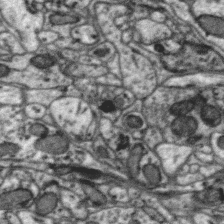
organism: Zebra finch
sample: Brain